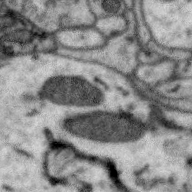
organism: Zebra finch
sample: Brain